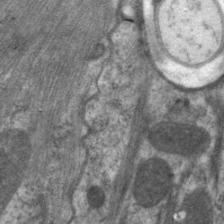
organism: C. elegans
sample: Pharynx